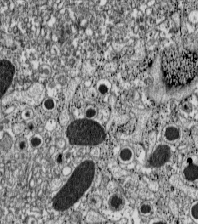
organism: C57BL Mouse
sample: Pancreatic islet